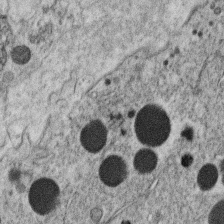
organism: C. elegans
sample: C. elegans oocyte; sperm cells